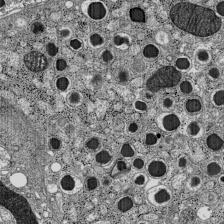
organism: C57BL Mouse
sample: Pancreatic islet